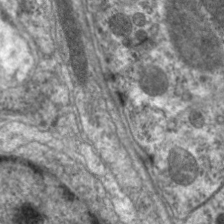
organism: C. elegans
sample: Pharynx